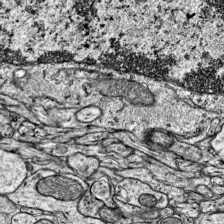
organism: Mouse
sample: Visual Cortex